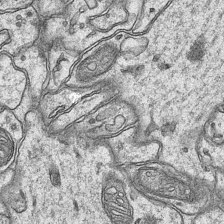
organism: Mouse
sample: CA1 Hippocampus